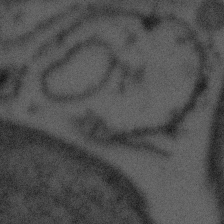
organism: Tuwongella immobilis